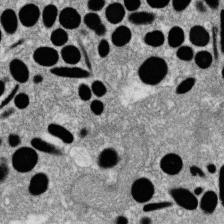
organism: Zebrafish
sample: Cilia; retinal pigment epithelium